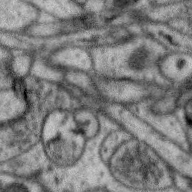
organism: Zebra finch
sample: Brain